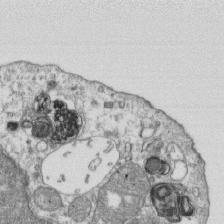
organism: Mouse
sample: Activated OT-1 CD8+ T cells